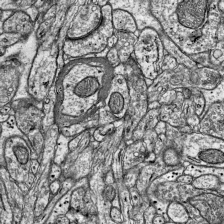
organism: Mouse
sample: Visual Cortex